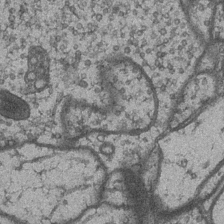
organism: Drosophila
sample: Optic medulla